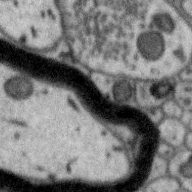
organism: Zebra finch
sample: Brain